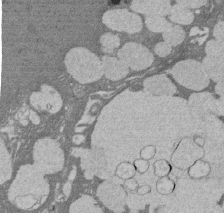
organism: Rat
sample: Salivary granule